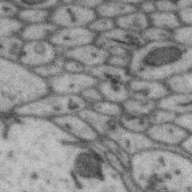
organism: Zebra finch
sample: Brain